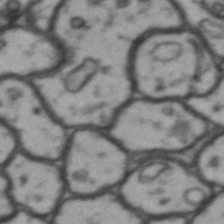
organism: Drosophila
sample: Brain